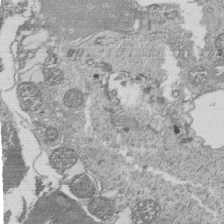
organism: Tetrahymena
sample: Cilia in tetrahymena